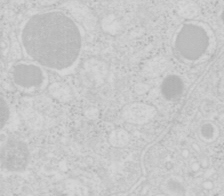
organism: Mouse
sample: Pancreas